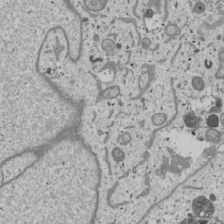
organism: Human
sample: Mitochondria in U2OS cells